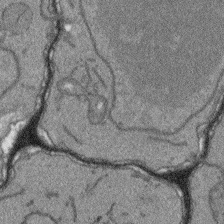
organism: Arabidopsis thaliana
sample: Root tip